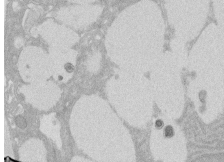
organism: Rat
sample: Salivary granule